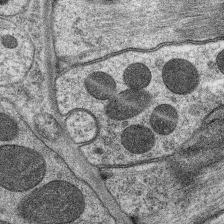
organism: C. elegans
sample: Pharynx